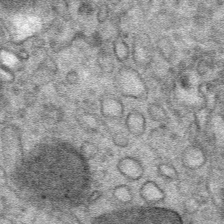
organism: Mouse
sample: Mouse Salivary gland